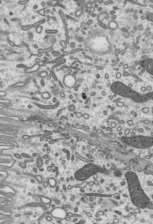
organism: Mouse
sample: Mouse epididymis efferent ductule cilia